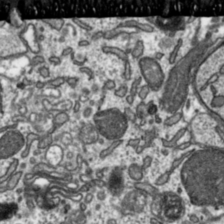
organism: Toxoplasma gondii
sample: Parasites in a vacuole inside a host cell